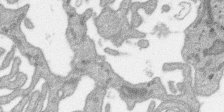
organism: Human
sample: Lung epithelial cells infected with SARS-CoV-2